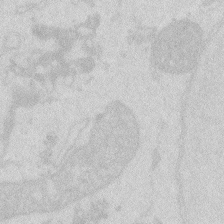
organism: Zebrafish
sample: Macrophage